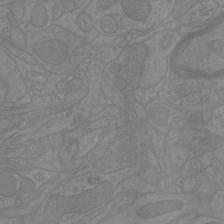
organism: Mouse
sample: Cortical neurons